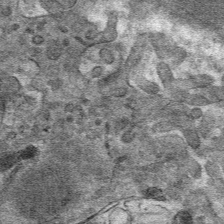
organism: Mouse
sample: Mouse hepatocytes